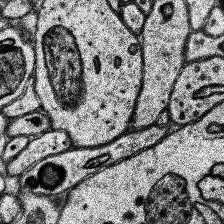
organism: Human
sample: Temporal Lobe